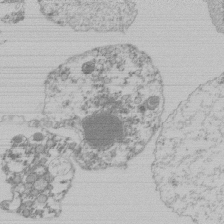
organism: Mouse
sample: Activated Pmel transgenic CD8+ T Cells